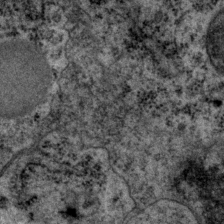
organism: P. pacificus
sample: Pharynx